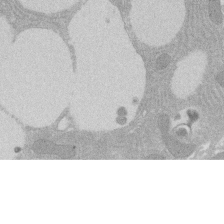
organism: Rat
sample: Salivary granule